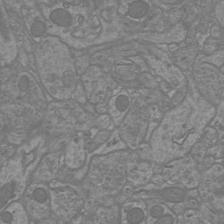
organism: Mouse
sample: Cortical neurons